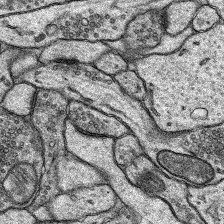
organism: Rat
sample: Hippocampus